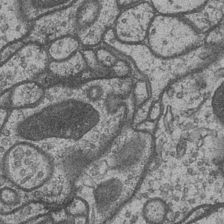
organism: Drosophila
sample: Optic medulla